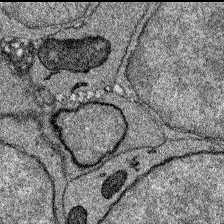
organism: Zebrafish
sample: Larval olfactory bulb